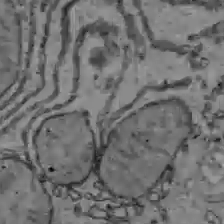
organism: C57BL Mouse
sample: Liver